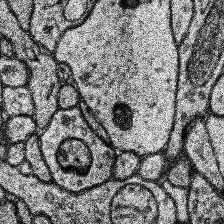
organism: Human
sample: Temporal Lobe